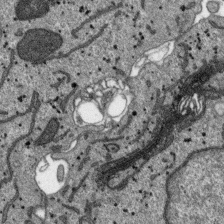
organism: Human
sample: Lung epithelial cells, uninfected (mock) control